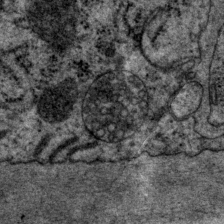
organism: P. pacificus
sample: Pharynx